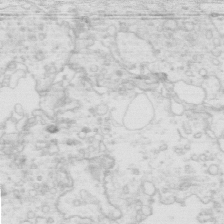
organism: Mouse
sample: Multiciliated cells